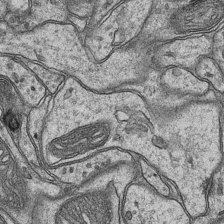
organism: Mouse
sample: CA1 Hippocampus